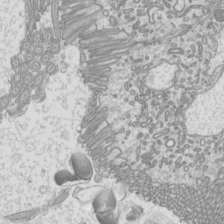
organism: Mouse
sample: Cilia; mouse epididymis